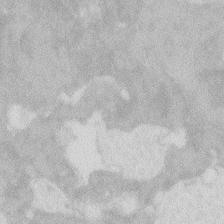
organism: Zebrafish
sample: Macrophage